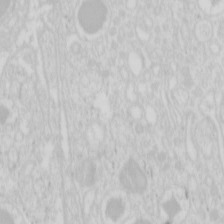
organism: Mouse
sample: Pancreas